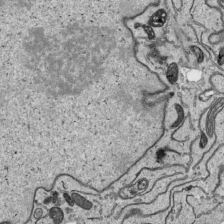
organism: Human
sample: Mitochondria in HCT116 cells